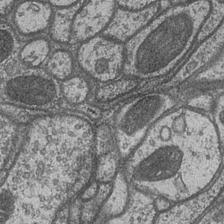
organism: Drosophila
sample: Optic medulla